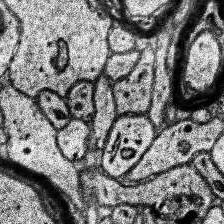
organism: Human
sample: Temporal Lobe